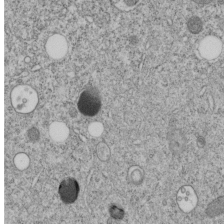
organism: C. elegans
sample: C. elegans embryo early stage